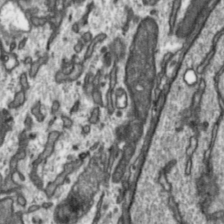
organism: Toxoplasma gondii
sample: Parasites in a vacuole inside a host cell